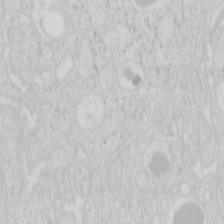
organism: Mouse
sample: Pancreas